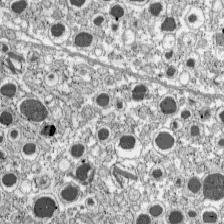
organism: C57BL Mouse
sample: Pancreatic islet